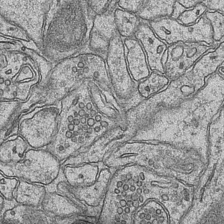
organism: Mouse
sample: CA1 Hippocampus